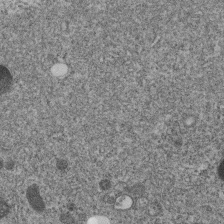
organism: C. elegans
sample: C. elegans embryo early stage